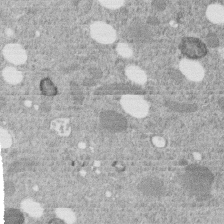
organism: C. elegans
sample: C. elegans embryo early stage